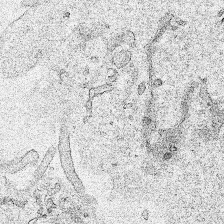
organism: Human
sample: Mitochondria in HCT116 cells